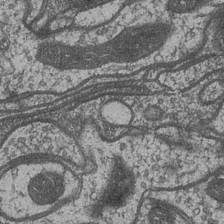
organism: Drosophila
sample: Optic medulla